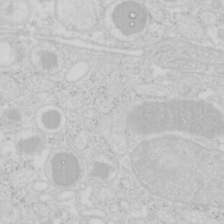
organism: Mouse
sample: Pancreas